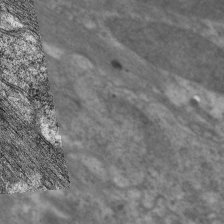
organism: C. elegans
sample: Pharynx